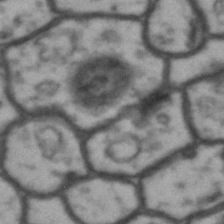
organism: Drosophila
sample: Brain